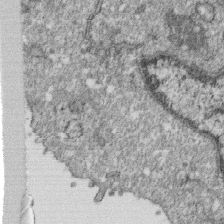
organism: African green monkey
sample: Vero E6 cells infected with SARS-CoV-2